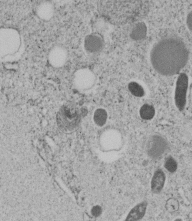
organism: C. elegans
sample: C. elegans embryo early stage